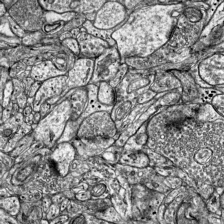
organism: Mouse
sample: Visual Cortex